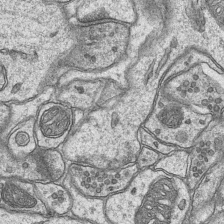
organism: Mouse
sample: CA1 Hippocampus